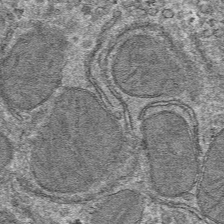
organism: Mouse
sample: Mouse hepatocytes